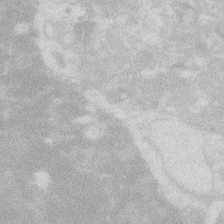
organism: Zebrafish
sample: Macrophage